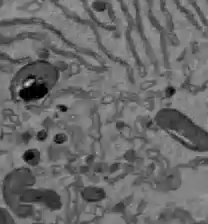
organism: C57BL Mouse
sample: Liver